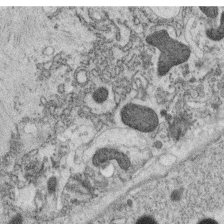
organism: C. elegans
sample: C. elegans oocyte; sperm cells